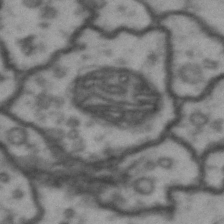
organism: Drosophila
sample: Brain